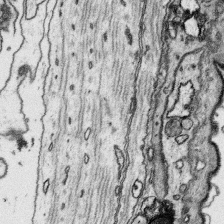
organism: Platynereis dumerilii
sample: Parapodia